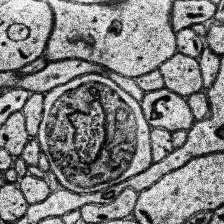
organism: Human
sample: Temporal Lobe